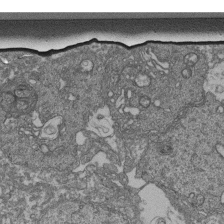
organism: Human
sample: Retinal organoid Rod and Cone cells